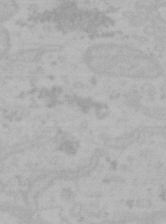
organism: Mouse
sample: Choroid plexus